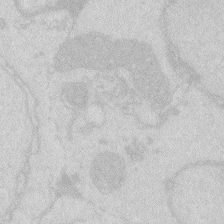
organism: Zebrafish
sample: Macrophage